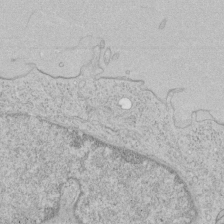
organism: Human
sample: Mitochondria in HCT116 cells